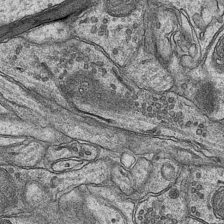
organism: Mouse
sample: CA1 Hippocampus